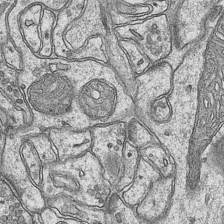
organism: Mouse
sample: CA1 Hippocampus